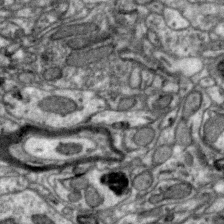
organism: Zebra finch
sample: Brain